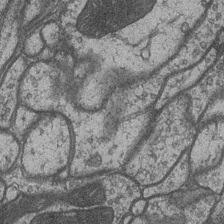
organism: Drosophila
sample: Optic medulla